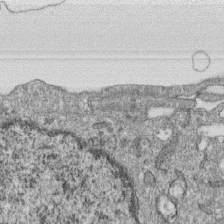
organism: African green monkey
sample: Vero E6 cells infected with SARS-CoV-2